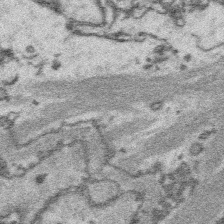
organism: Platynereis dumerilii